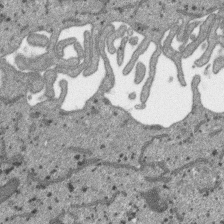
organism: Human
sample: Lung epithelial cells infected with SARS-CoV-2